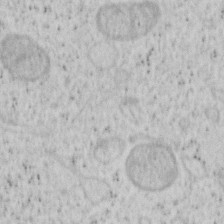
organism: Human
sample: HeLa cells